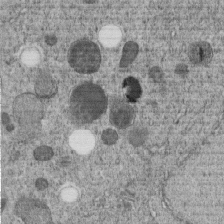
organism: C. elegans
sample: C. elegans embryo early stage